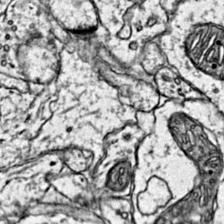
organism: Mouse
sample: Primary visual cortex